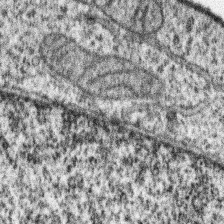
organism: Human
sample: HeLa cells